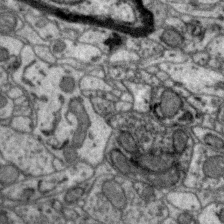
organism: Zebra finch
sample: Brain